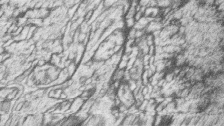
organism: Zebrafish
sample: synaptic ribbons in rod cells and cone cells